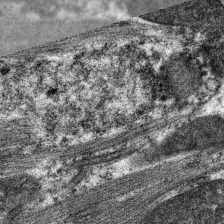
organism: C. elegans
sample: Pharynx